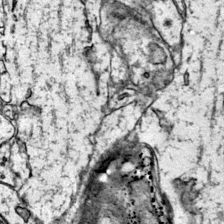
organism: Mouse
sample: Primary visual cortex